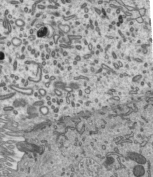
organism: Mouse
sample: Mouse epididymis efferent ductule cilia